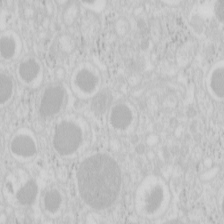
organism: Mouse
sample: Pancreas